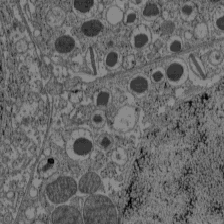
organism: C57BL Mouse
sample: Pancreatic islet